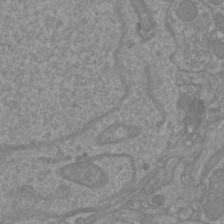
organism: Mouse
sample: Cortical neurons